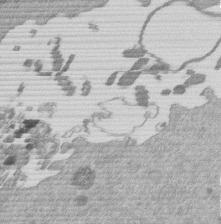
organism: Mouse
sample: Dividing mouse embryo 1 cell stage